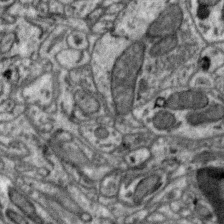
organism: Zebra finch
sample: Brain